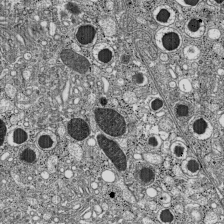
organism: C57BL Mouse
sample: Pancreatic islet